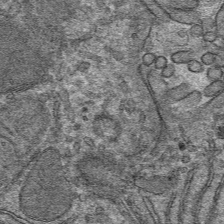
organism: Mouse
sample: Mouse hepatocytes